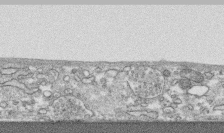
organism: Human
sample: CRL-1474